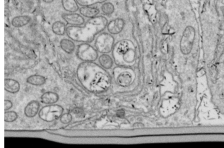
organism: Drosophila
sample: Cell division; meiosis; drosophila spermatocytes